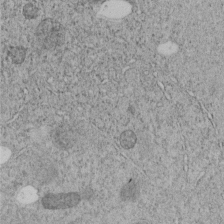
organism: C. elegans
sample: C. elegans embryo early stage